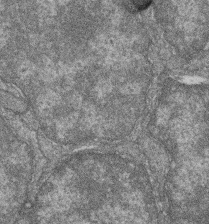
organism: Zebrafish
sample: Cilia; retinal pigment epithelium